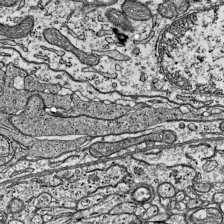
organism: Mouse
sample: Visual Cortex